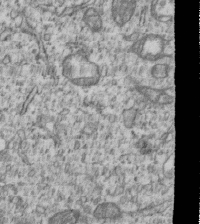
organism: Human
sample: MDA-MB-231 cells